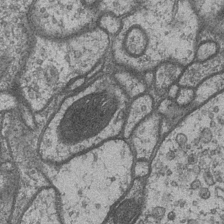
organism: Drosophila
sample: Optic medulla